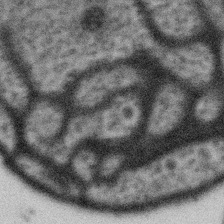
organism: Gemmata obscuriglobus